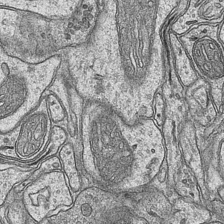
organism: Mouse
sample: CA1 Hippocampus